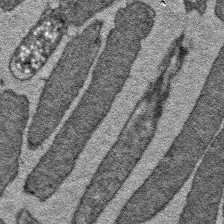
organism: E. coli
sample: E. Coli Bacteria